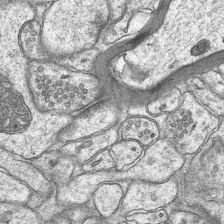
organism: Mouse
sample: CA1 Hippocampus